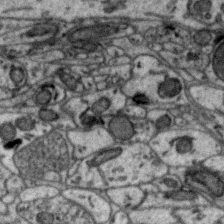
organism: Zebra finch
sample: Brain